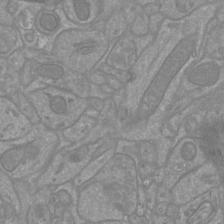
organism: Mouse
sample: Cortical neurons